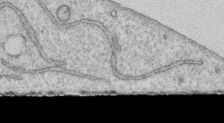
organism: Human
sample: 1205lu cells